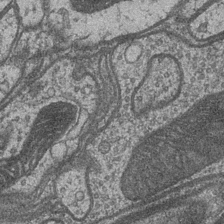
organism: Drosophila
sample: Optic medulla